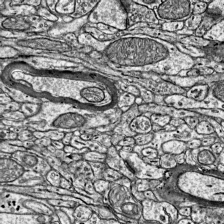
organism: Mouse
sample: Visual Cortex